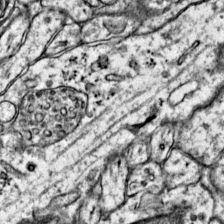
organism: Mouse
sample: Primary visual cortex